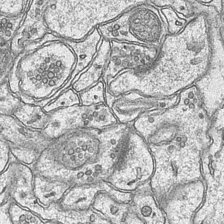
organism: Mouse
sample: CA1 Hippocampus